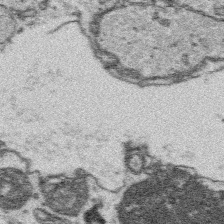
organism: Platynereis dumerilii